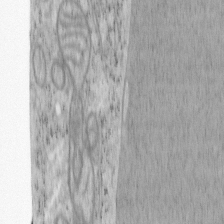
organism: Human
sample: HeLa cells